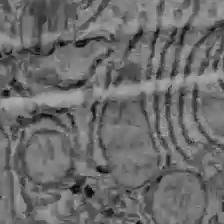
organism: C57BL Mouse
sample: Liver